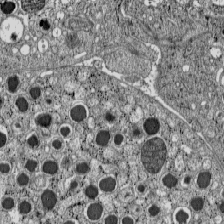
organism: C57BL Mouse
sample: Pancreatic islet